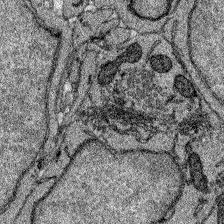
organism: Zebrafish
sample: Larval olfactory bulb